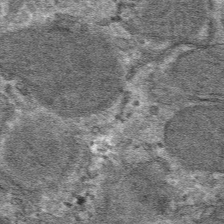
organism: Mouse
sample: Mouse hepatocytes